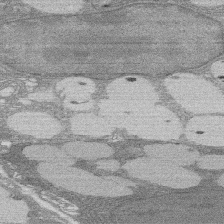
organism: Rat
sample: Salivary granule